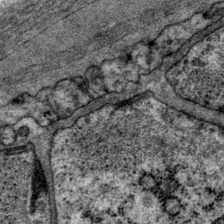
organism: P. pacificus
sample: Pharynx